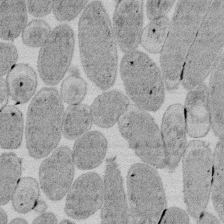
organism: E. coli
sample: Bacterial nucleoid